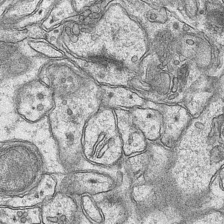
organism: Mouse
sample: CA1 Hippocampus